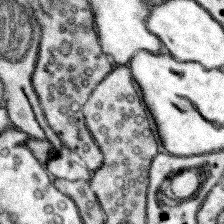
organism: Mouse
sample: Somatosensory cortex neuropil